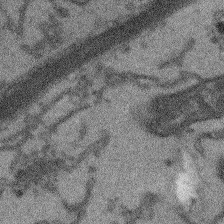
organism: Arabidopsis thaliana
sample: Root tip